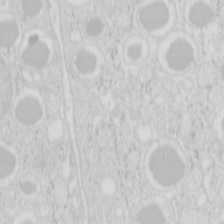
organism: Mouse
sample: Pancreas